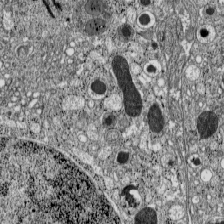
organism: C57BL Mouse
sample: Pancreatic islet